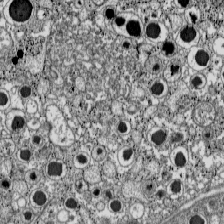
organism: C57BL Mouse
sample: Pancreatic islet